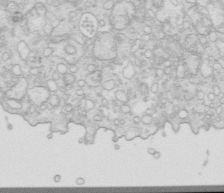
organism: Mouse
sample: Multiciliated cells